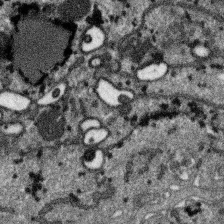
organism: Human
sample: Lung epithelial cells infected with SARS-CoV-2